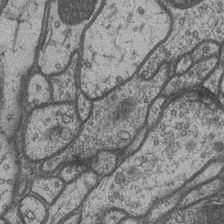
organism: Drosophila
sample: Optic medulla